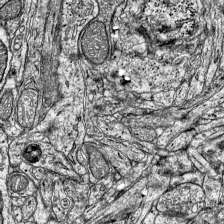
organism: Mouse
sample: Visual Cortex